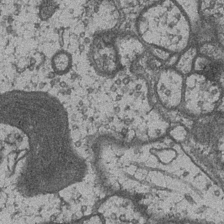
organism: Drosophila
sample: Optic medulla